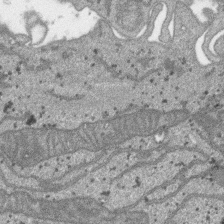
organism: Human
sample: Lung epithelial cells infected with SARS-CoV-2